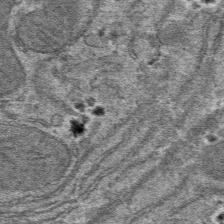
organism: Mouse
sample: Mouse hepatocytes